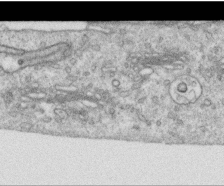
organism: Human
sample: Centriole in RPE cells